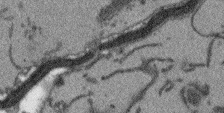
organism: Arabidopsis thaliana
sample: Root tip